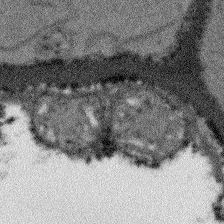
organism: Arabidopsis thaliana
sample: Root tip